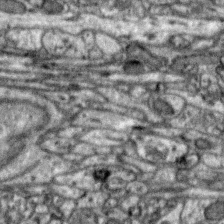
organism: Zebra finch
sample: Brain